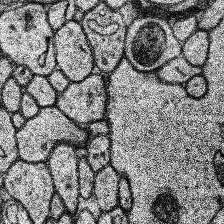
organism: Human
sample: Temporal Lobe